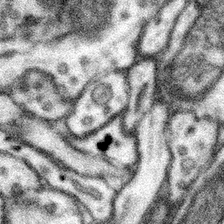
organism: Mouse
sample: Somatosensory cortex neuropil